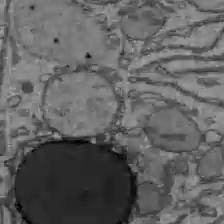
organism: C57BL Mouse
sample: Liver